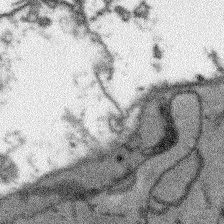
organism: Arabidopsis thaliana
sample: Root tip